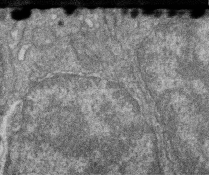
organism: Zebrafish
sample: Cilia; retinal pigment epithelium